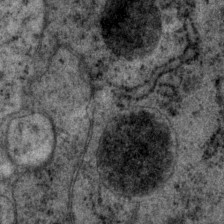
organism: P. pacificus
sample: Pharynx